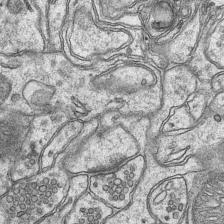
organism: Mouse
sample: CA1 Hippocampus